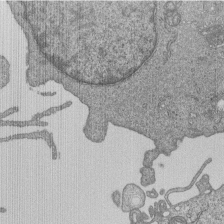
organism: Human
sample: MDA-MB-231 cells